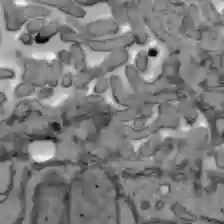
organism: C57BL Mouse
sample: Liver